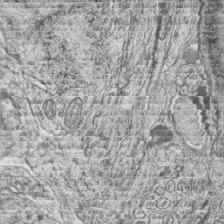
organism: Zebrafish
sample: synaptic ribbons in rod cells and cone cells